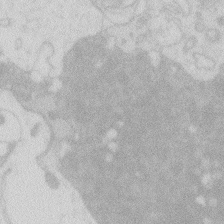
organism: Zebrafish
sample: Macrophage